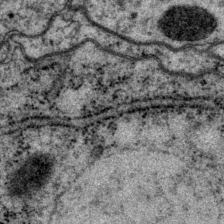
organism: P. pacificus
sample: Pharynx